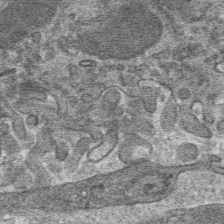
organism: Mouse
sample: Mouse hepatocytes